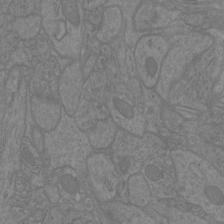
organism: Mouse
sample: Cortical neurons